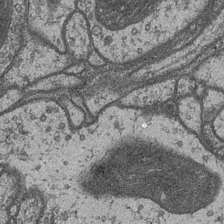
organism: Drosophila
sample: Optic medulla